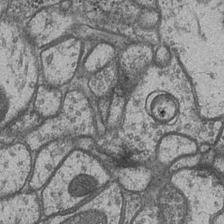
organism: Drosophila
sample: Optic medulla